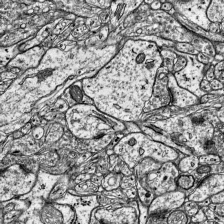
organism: Mouse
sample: Visual Cortex